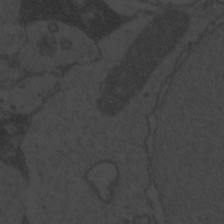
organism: Zebrafish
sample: Macrophage infected with Toxoplasma gondii